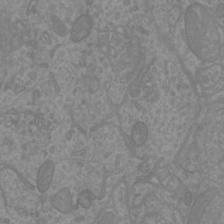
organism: Mouse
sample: Cortical neurons